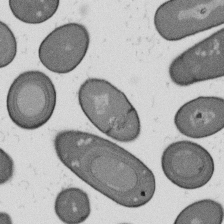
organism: B. subtilis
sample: Bacterial spore